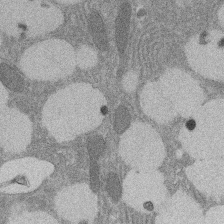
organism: Rat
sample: Salivary granule